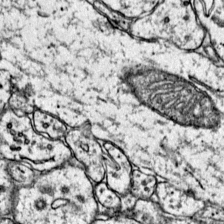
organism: Mouse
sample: Primary visual cortex